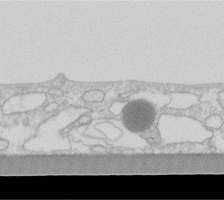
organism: Human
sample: Fibroblast cells